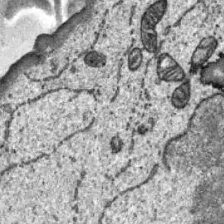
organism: Human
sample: HeLa cells